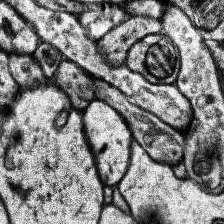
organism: Human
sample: Temporal Lobe